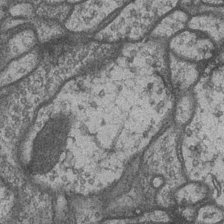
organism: Drosophila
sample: Optic medulla